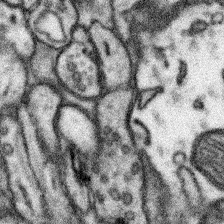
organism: Mouse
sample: Somatosensory cortex neuropil